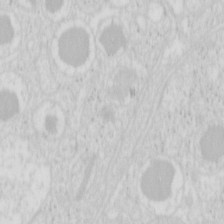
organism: Mouse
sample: Pancreas